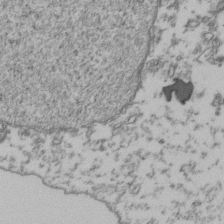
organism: Human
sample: Activated Jurkat CD4+ T cells